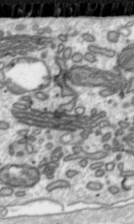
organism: Toxoplasma gondii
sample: Parasites in a vacuole inside a host cell